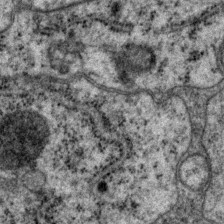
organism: P. pacificus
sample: Pharynx